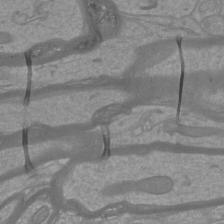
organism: Mouse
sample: Cortical neurons